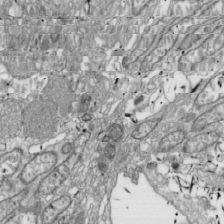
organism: Drosophila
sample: Cell division; meiosis; drosophila spermatocytes